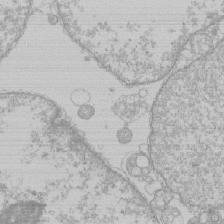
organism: Human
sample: Macrophage cells